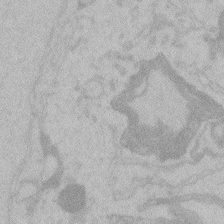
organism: Zebrafish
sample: Macrophage infected with Toxoplasma gondii